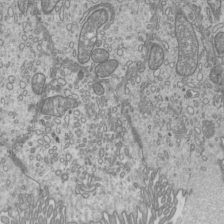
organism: Mouse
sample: Cilia; mouse epididymis